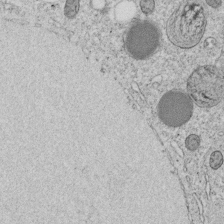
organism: C. elegans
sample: C. elegans embryo early stage